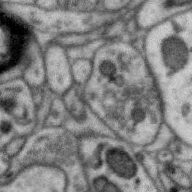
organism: Zebra finch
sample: Brain